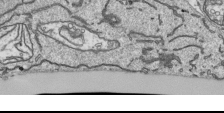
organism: Human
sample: Mitochondria in HCT116 cells